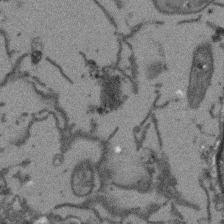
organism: Arabidopsis thaliana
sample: Root tip